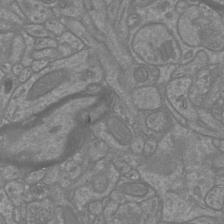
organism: Mouse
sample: Cortical neurons